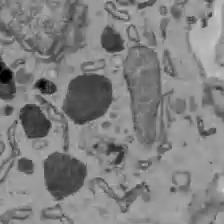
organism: C57BL Mouse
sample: Liver